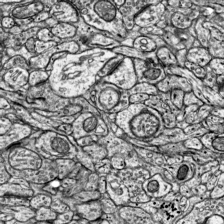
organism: Mouse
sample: Visual Cortex